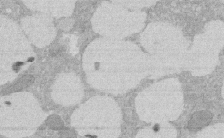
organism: Rat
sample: Salivary granule